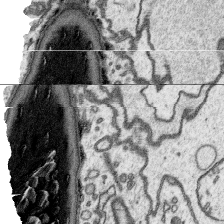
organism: Platynereis dumerilii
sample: Parapodia